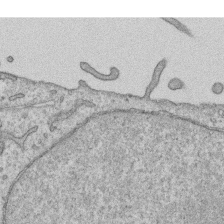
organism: Human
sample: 1205lu cells